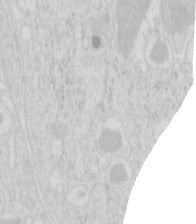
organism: Mouse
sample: Pancreas